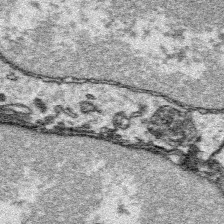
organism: Platynereis dumerilii